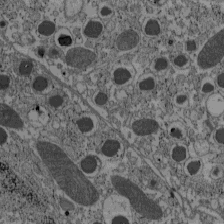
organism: C57BL Mouse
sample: Pancreatic islet